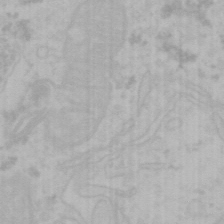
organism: Mouse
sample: Choroid plexus